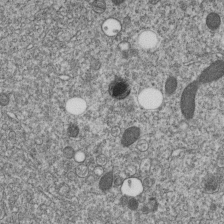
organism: C. elegans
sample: C. elegans embryo early stage